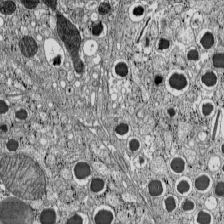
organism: C57BL Mouse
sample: Pancreatic islet